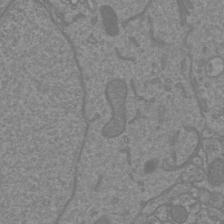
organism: Mouse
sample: Cortical neurons